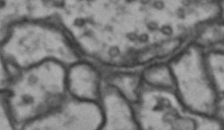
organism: Drosophila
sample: Brain